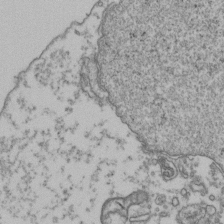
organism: Human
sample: Activated Jurkat CD4+ T cells